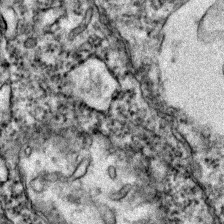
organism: Zebrafish